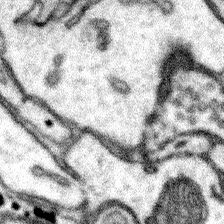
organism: Mouse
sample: Somatosensory cortex neuropil